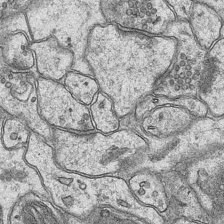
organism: Mouse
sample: CA1 Hippocampus